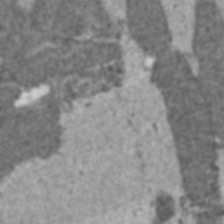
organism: C57BL Mouse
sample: Heart